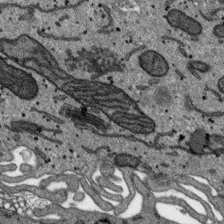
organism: Human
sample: Lung epithelial cells, uninfected (mock) control